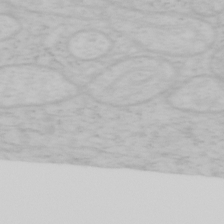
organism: Mouse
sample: OT-I killer T cells with ID8 ovarian cancer cells